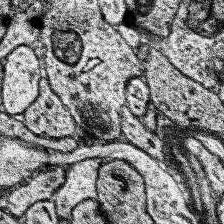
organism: Human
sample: Temporal Lobe